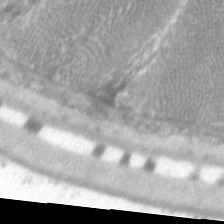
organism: C. elegans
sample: Pharynx